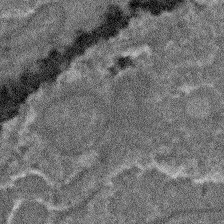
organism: Arabidopsis thaliana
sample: Root tip